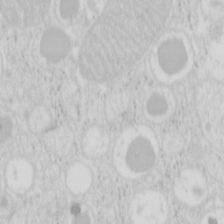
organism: Mouse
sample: Pancreas